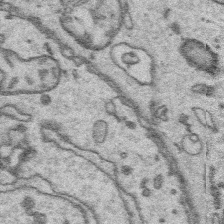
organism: Platynereis dumerilii